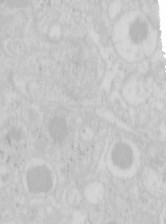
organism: Mouse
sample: Pancreas